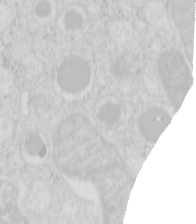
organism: Mouse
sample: Pancreas